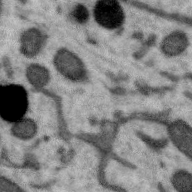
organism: Zebra finch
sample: Brain